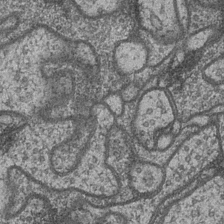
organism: Drosophila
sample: Optic medulla